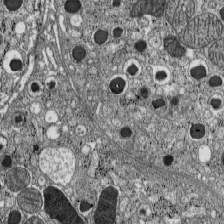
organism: C57BL Mouse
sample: Pancreatic islet